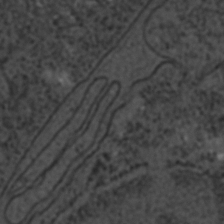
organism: C. elegans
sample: C. elegans embryo